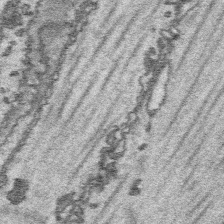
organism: Platynereis dumerilii